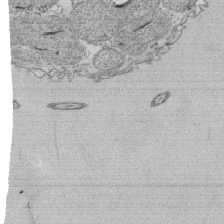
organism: Tetrahymena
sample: Cilia in tetrahymena